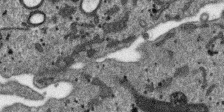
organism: Human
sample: Lung epithelial cells infected with SARS-CoV-2